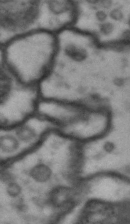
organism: Drosophila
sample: Brain